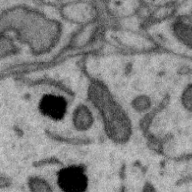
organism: Zebra finch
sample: Brain